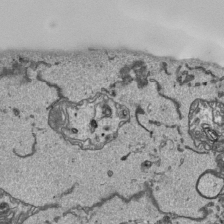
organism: Human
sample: Mitochondria in HCT116 cells